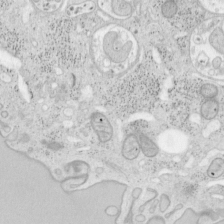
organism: Mouse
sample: OT-I killer T cells with ID8 ovarian cancer cells